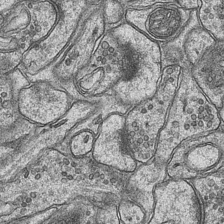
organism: Mouse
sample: CA1 Hippocampus